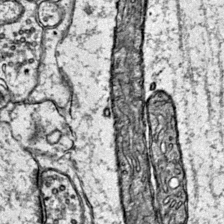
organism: Mouse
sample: Primary visual cortex